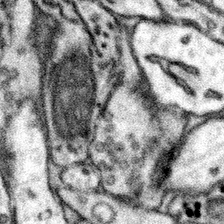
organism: Mouse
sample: Somatosensory cortex neuropil